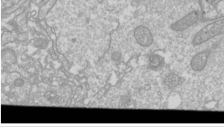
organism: Drosophila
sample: Cell division; meiosis; drosophila spermatocytes